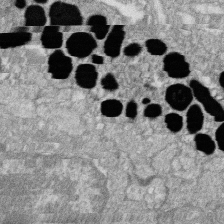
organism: Zebrafish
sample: Cilia; retinal pigment epithelium